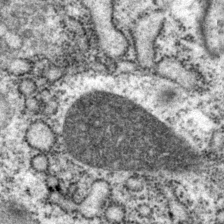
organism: P. pacificus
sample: Pharynx